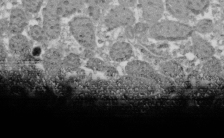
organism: Xenopus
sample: Cilia; centrioles in frog embryo cells